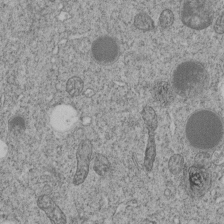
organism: C. elegans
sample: C. elegans embryo early stage